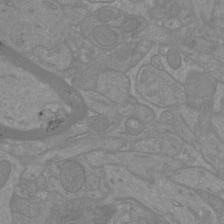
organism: Mouse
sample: Cortical neurons